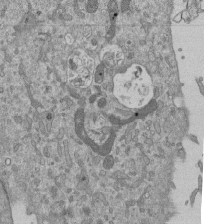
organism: Mouse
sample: ED-1 cell nuclei; centrioles